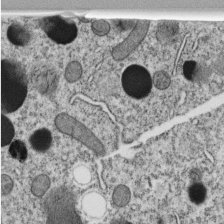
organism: C. elegans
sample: C. elegans embryo early stage